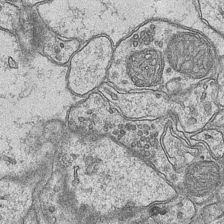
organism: Mouse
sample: CA1 Hippocampus